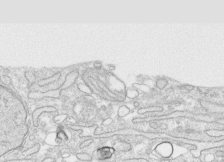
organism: Human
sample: CRL-1474